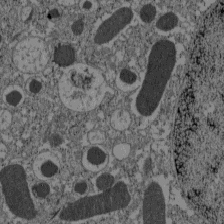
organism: C57BL Mouse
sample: Pancreatic islet